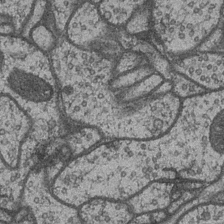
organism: Drosophila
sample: Optic medulla